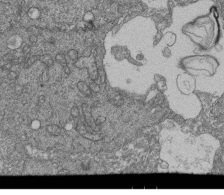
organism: Human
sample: Retinal organoid Rod and Cone cells